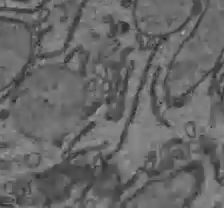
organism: C57BL Mouse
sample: Liver